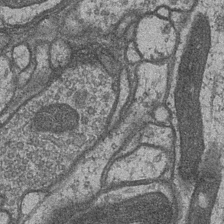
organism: Drosophila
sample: Optic medulla